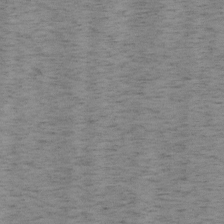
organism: Mouse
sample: OT-I killer T cells with ID8 ovarian cancer cells